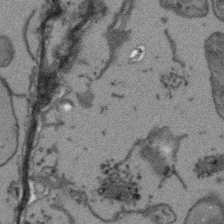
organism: Arabidopsis thaliana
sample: Root tip